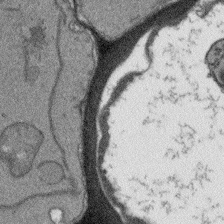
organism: Arabidopsis thaliana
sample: Root tip